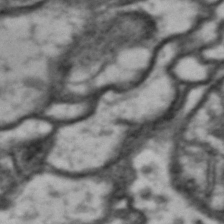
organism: Drosophila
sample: Brain